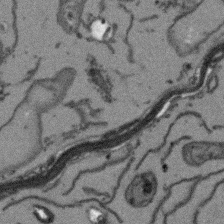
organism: Arabidopsis thaliana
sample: Root tip